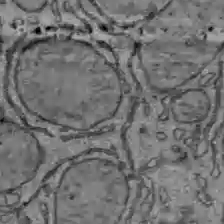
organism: C57BL Mouse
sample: Liver